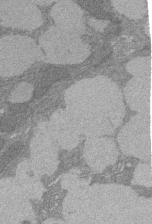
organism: Rat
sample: Salivary granule